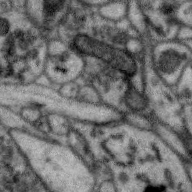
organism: Zebra finch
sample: Brain